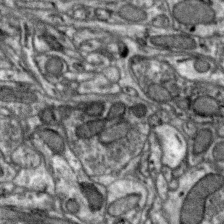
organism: Zebra finch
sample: Brain